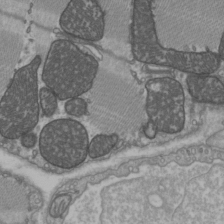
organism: C57BL Mouse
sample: Heart